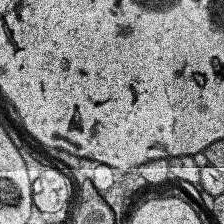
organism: Human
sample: Temporal Lobe